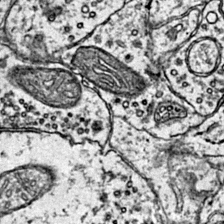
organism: Mouse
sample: Primary visual cortex